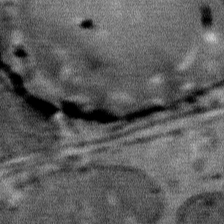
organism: Mouse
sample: Mouse Salivary gland